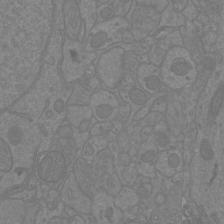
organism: Mouse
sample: Cortical neurons